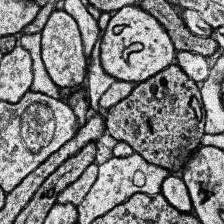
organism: Human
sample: Temporal Lobe